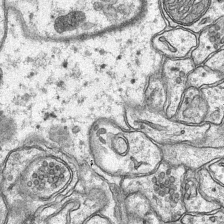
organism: Mouse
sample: CA1 Hippocampus